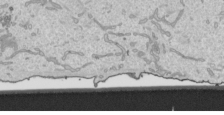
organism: Human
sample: Mitochondria in HCT116 cells